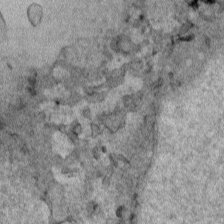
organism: Human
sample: Mitochondria in HCT116 cells